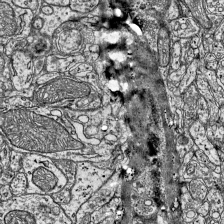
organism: Mouse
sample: Visual Cortex